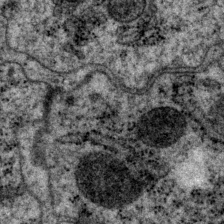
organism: P. pacificus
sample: Pharynx